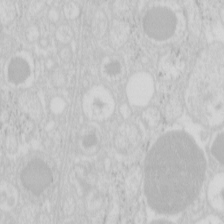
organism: Mouse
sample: Pancreas